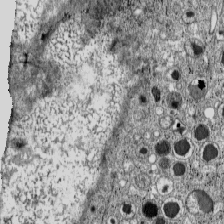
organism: C57BL Mouse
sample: Pancreatic islet